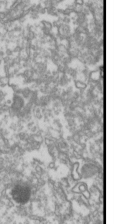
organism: Drosophila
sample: Cell division; meiosis; drosophila spermatocytes